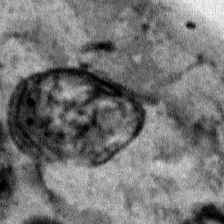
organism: Human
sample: Mitochondria in HCT116 cells